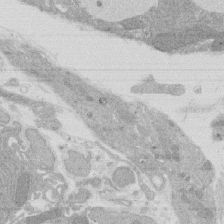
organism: Rat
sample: Salivary granule